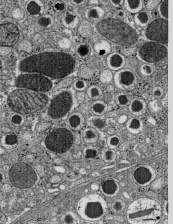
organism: C57BL Mouse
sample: Pancreatic islet